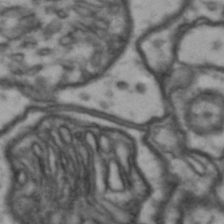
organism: Drosophila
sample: Brain